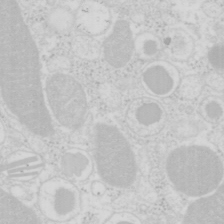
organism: Mouse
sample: Pancreas